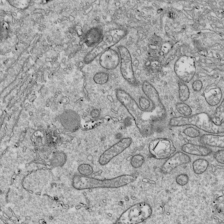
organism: Drosophila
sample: Cell division; meiosis; drosophila spermatocytes